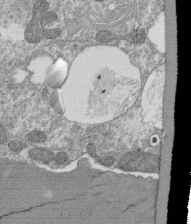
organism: Tetrahymena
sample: Cilia in tetrahymena